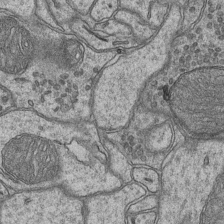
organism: Mouse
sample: CA1 Hippocampus